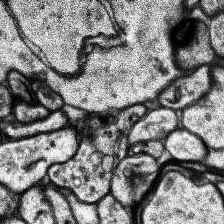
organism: Human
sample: Temporal Lobe